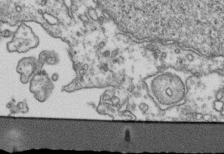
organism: Human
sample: Activated Jurkat CD4+ T cells